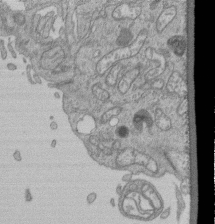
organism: Human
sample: Retinal organoid Rod and Cone cells